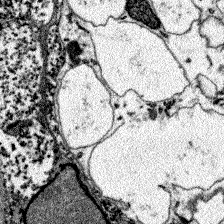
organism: Zebrafish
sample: Larval olfactory bulb